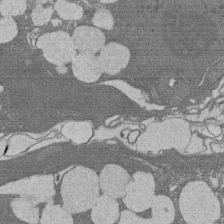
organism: Rat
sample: Salivary granule